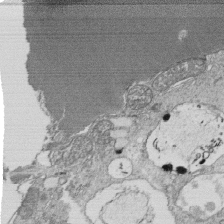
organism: Tetrahymena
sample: Cilia in tetrahymena